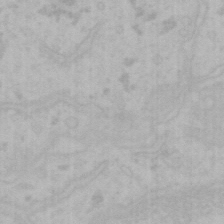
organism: Mouse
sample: Choroid plexus